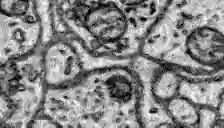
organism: Zebrafish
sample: Brain